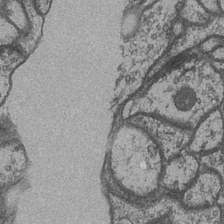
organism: Drosophila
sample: Optic medulla